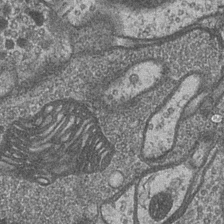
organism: Drosophila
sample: Optic medulla